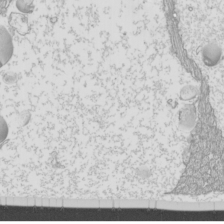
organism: Mouse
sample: Cilia; mouse epididymis